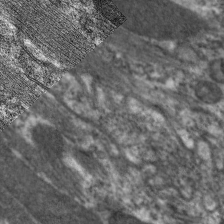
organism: C. elegans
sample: Pharynx